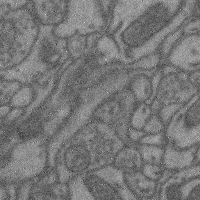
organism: Mouse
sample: Cerebral cortex